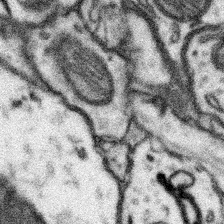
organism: Mouse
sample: Somatosensory cortex neuropil